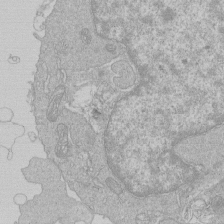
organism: Human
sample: Macrophage cells